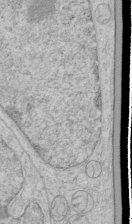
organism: Human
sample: Mitochondria in HCT116 cells